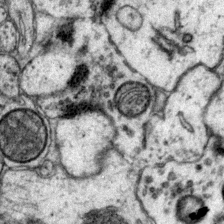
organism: Mouse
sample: Primary visual cortex